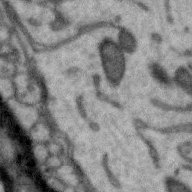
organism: Zebra finch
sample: Brain